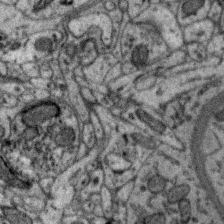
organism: Zebra finch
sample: Brain